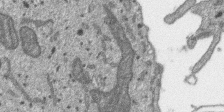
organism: Human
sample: Lung epithelial cells infected with SARS-CoV-2